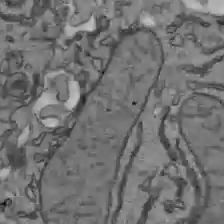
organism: C57BL Mouse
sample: Liver